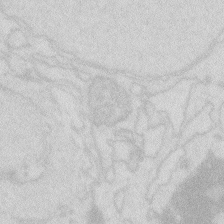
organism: Zebrafish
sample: Macrophage